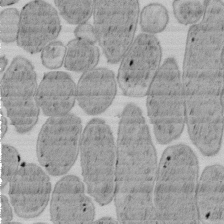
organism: E. coli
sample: Bacterial nucleoid